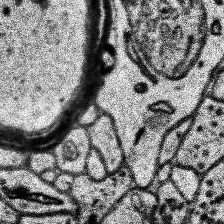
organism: Human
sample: Temporal Lobe